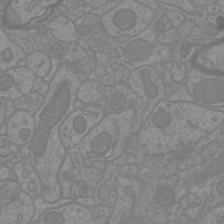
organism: Mouse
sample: Cortical neurons